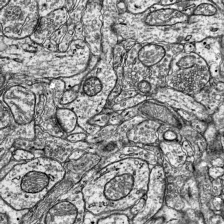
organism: Mouse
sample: Visual Cortex